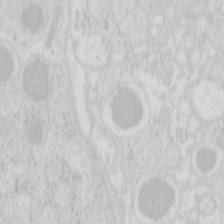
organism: Mouse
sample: Pancreas